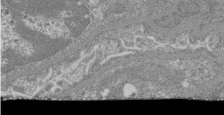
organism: Mouse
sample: Glomerulus